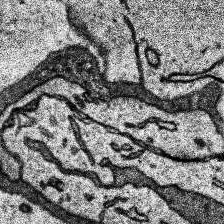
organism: Human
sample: Temporal Lobe